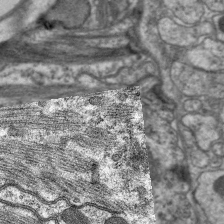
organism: C. elegans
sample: Pharynx